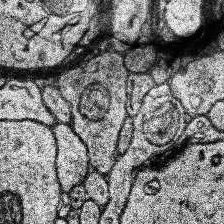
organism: Human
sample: Temporal Lobe